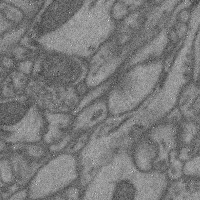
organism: Mouse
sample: Cerebral cortex